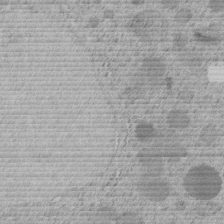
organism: C. elegans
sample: C. elegans embryo early stage